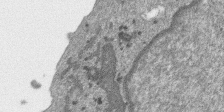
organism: Human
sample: Lung epithelial cells infected with SARS-CoV-2